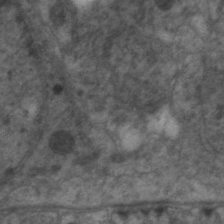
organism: C. elegans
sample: Pharynx